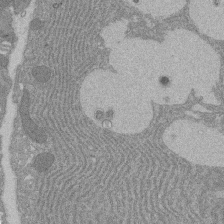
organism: Rat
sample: Salivary granule